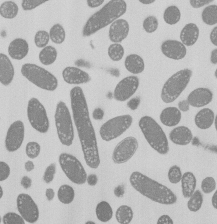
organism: E. coli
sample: Bacterial nucleoid